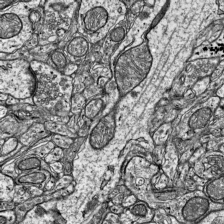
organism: Mouse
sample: Visual Cortex